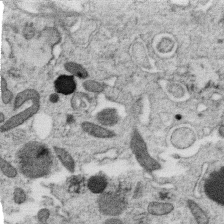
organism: C. elegans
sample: C. elegans oocyte; sperm cells